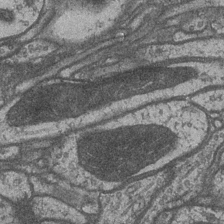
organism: Drosophila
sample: Optic medulla